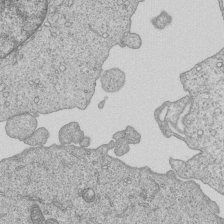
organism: Human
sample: MDA-MB-231 cells